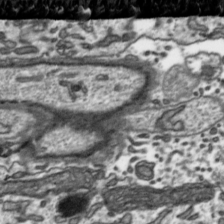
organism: Toxoplasma gondii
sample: Parasites in a vacuole inside a host cell